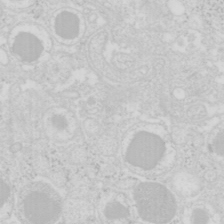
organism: Mouse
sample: Pancreas